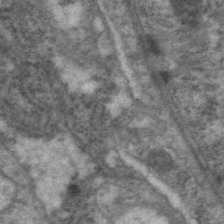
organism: C. elegans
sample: Pharynx